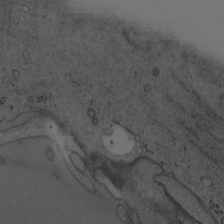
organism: Mouse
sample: OT-I killer T cells with ID8 ovarian cancer cells